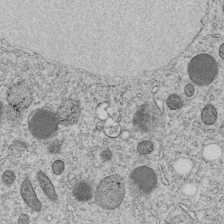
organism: C. elegans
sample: C. elegans embryo early stage